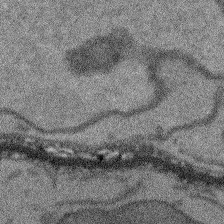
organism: Arabidopsis thaliana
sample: Root tip